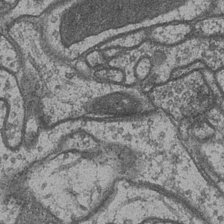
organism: Drosophila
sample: Optic medulla